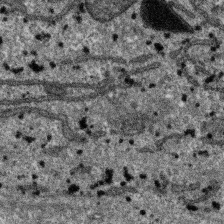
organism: Human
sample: Lung epithelial cells infected with SARS-CoV-2